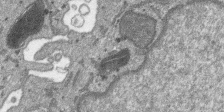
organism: Human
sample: Lung epithelial cells infected with SARS-CoV-2